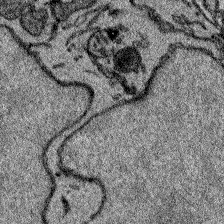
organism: Zebrafish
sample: Larval olfactory bulb